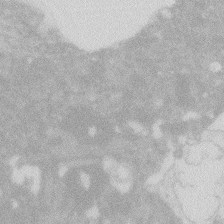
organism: Zebrafish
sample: Macrophage